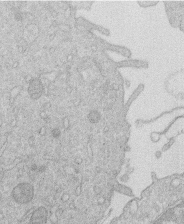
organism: Human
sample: Macrophage cells